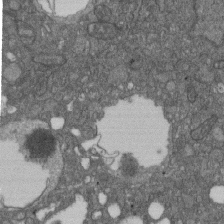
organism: Drosophila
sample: Nephrocyte